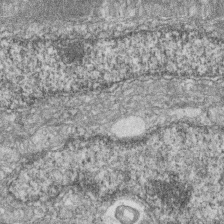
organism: Zebrafish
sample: Cilia; retinal pigment epithelium